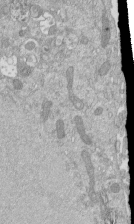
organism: Mouse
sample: ED-1 cell nuclei; centrioles